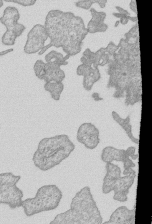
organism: Human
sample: MDA-MB-231 cells